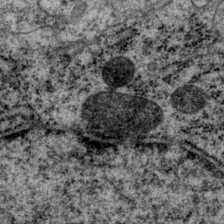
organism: P. pacificus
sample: Pharynx